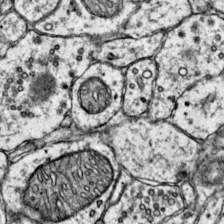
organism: Mouse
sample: Primary visual cortex